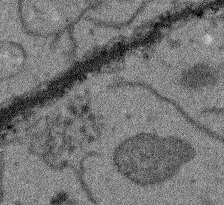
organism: Arabidopsis thaliana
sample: Root tip